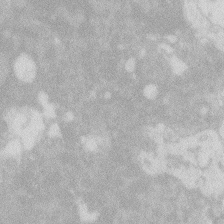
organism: Zebrafish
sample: Macrophage